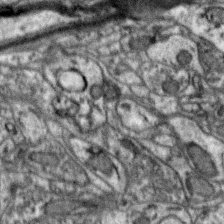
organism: Zebra finch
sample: Brain